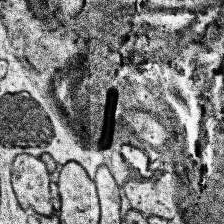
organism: Human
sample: Temporal Lobe